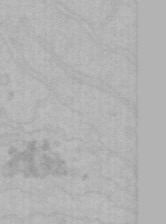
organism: Mouse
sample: Choroid plexus